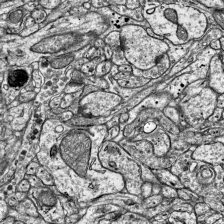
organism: Mouse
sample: Visual Cortex